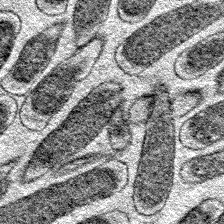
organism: E. coli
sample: E. Coli Bacteria